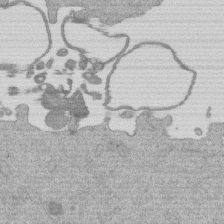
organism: Mouse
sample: Dividing mouse embryo 1 cell stage